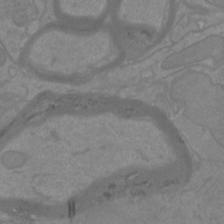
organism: Mouse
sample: Cortical neurons